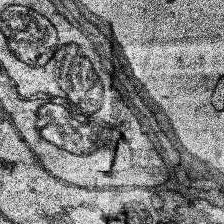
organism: Human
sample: Temporal Lobe